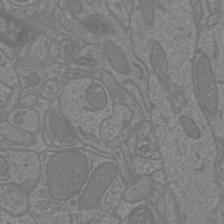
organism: Mouse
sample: Cortical neurons